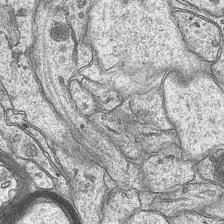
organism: Mouse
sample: CA1 Hippocampus